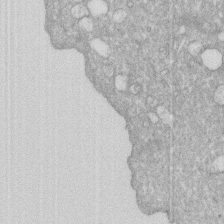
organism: Human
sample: HIV infected U937 cells